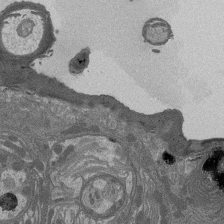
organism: Drosophila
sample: Antenna